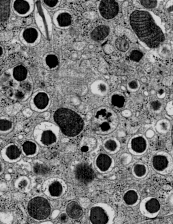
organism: C57BL Mouse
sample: Pancreatic islet